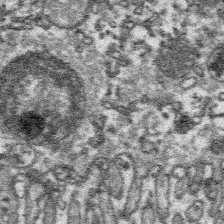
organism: Platynereis dumerilii